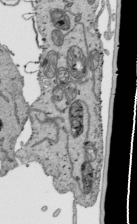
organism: Human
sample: Mitochondria in HCT116 cells